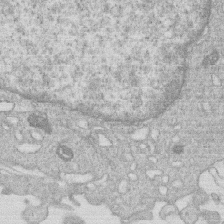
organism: Human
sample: Macrophage cells